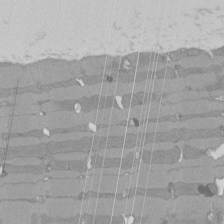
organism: Rat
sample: Left ventricle